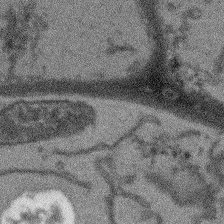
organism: Arabidopsis thaliana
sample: Root tip